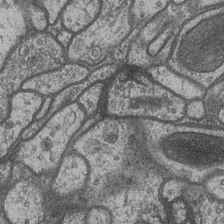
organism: Drosophila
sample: Optic medulla